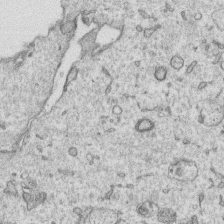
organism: Human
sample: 1205lu cells